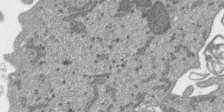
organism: Human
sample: Lung epithelial cells infected with SARS-CoV-2